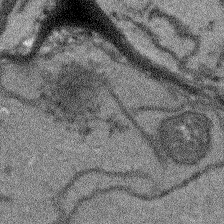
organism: Arabidopsis thaliana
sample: Root tip